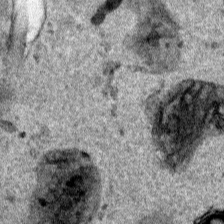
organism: Human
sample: Mitochondria in HCT116 cells